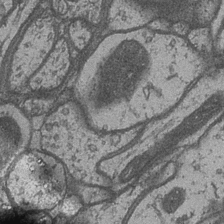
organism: Drosophila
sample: Optic medulla